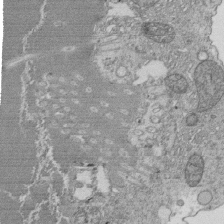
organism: Tetrahymena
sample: Cilia in tetrahymena